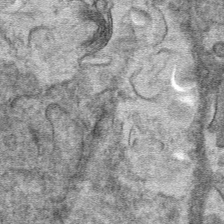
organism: Mouse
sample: Mouse hepatocytes